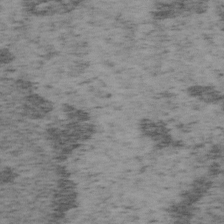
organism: Mouse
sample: OT-I killer T cells with ID8 ovarian cancer cells